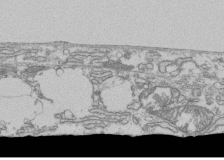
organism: Human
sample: Fibroblast cells